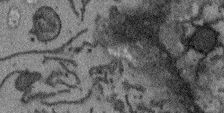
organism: Arabidopsis thaliana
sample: Root tip